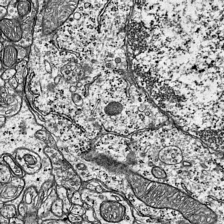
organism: Mouse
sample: Visual Cortex